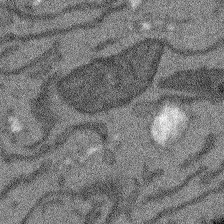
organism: Arabidopsis thaliana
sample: Root tip